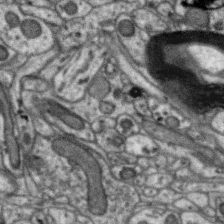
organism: Zebra finch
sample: Brain